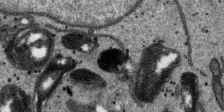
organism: Human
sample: Lung epithelial cells, uninfected (mock) control